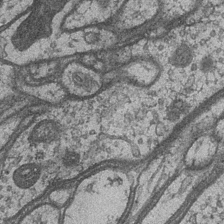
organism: Drosophila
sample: Optic medulla